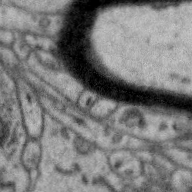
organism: Zebra finch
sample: Brain